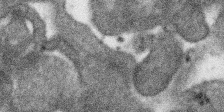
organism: Human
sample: Lung epithelial cells infected with SARS-CoV-2